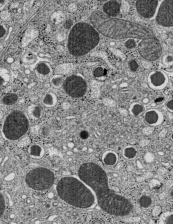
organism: C57BL Mouse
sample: Pancreatic islet